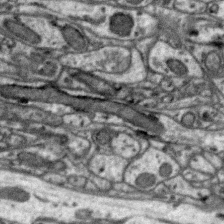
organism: Zebra finch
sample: Brain